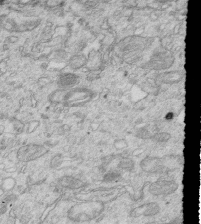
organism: Mouse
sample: Multiciliated cells